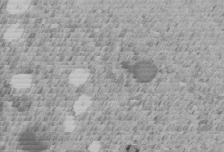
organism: C. elegans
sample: C. elegans embryo early stage